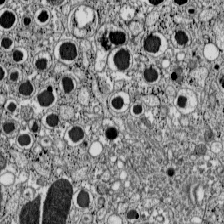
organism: C57BL Mouse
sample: Pancreatic islet